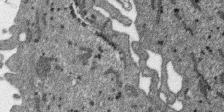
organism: Human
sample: Lung epithelial cells infected with SARS-CoV-2